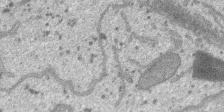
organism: Human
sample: Lung epithelial cells infected with SARS-CoV-2